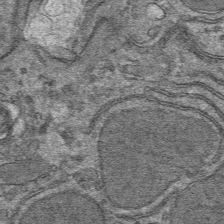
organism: Mouse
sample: Mouse hepatocytes